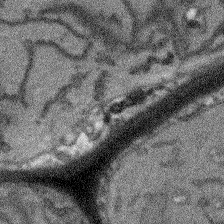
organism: Arabidopsis thaliana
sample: Root tip